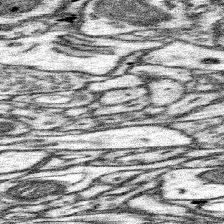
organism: Mouse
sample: Somatosensory cortex neuropil